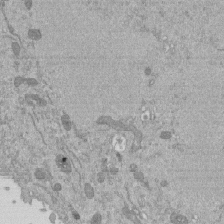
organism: Mouse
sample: ED-1 cell nuclei; centrioles